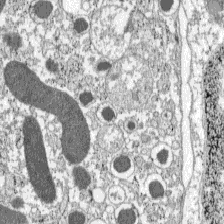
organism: C57BL Mouse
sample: Pancreatic islet